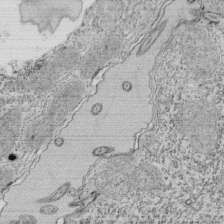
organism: Tetrahymena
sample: Cilia in tetrahymena